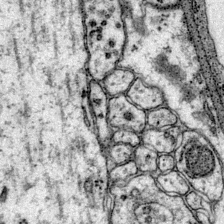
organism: Mouse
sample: Primary visual cortex